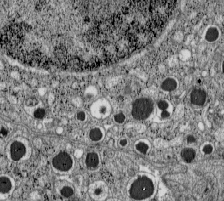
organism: C57BL Mouse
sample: Pancreatic islet